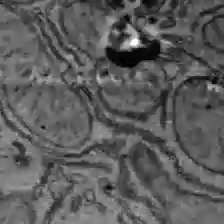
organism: C57BL Mouse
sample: Liver